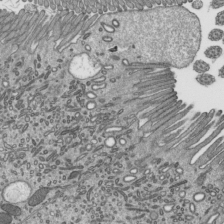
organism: Mouse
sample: Mouse epididymis efferent ductule cilia